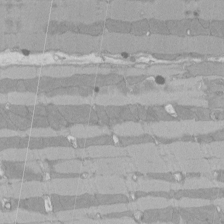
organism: Rat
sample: Left ventricle